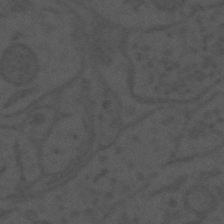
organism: Mouse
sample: Suprachiasmatic nucleus